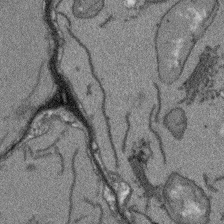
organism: Arabidopsis thaliana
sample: Root tip